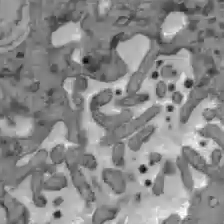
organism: C57BL Mouse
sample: Liver